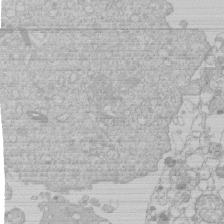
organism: Human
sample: Macrophage cells